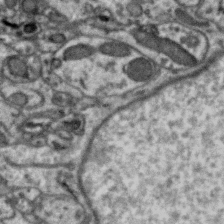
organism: Zebra finch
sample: Brain